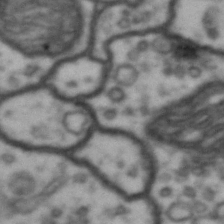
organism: Drosophila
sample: Brain